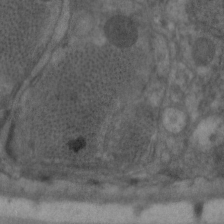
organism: C. elegans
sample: Pharynx